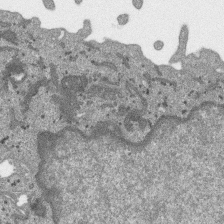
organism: Human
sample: Lung epithelial cells infected with SARS-CoV-2